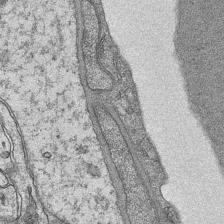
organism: Mouse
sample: CA1 Hippocampus